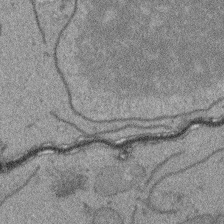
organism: Arabidopsis thaliana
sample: Root tip